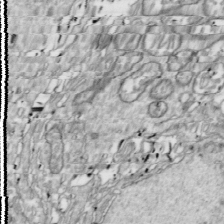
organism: Drosophila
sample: Cell division; meiosis; drosophila spermatocytes